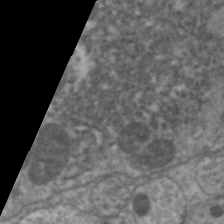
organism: C. elegans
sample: Pharynx